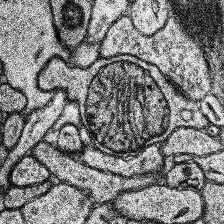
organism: Human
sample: Temporal Lobe